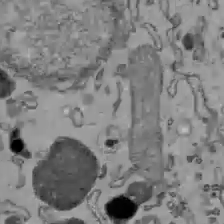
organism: C57BL Mouse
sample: Liver